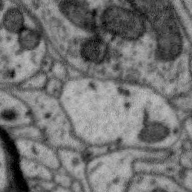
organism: Zebra finch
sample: Brain